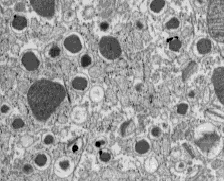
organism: C57BL Mouse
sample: Pancreatic islet